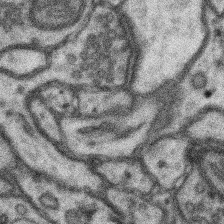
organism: Mouse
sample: Somatosensory cortex neuropil